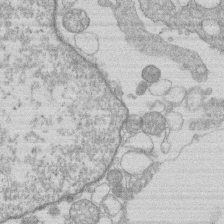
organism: Human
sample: Macrophage cells